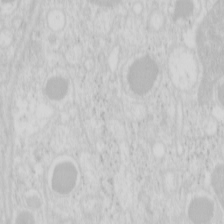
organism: Mouse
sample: Pancreas